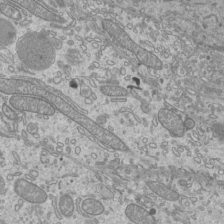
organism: Mouse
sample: Cilia; mouse epididymis